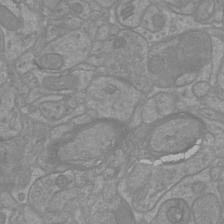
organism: Mouse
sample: Cortical neurons